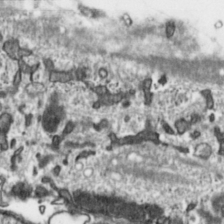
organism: Toxoplasma gondii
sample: Parasites in a vacuole inside a host cell